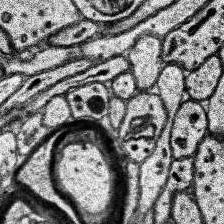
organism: Human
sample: Temporal Lobe